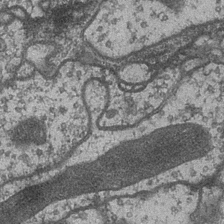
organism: Drosophila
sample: Optic medulla